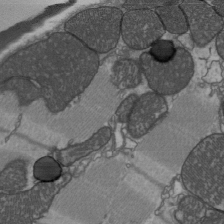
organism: C57BL Mouse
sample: Heart